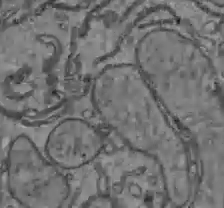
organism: C57BL Mouse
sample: Liver